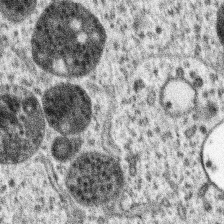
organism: Human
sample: HeLa cells